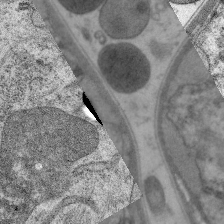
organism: C. elegans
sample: Pharynx